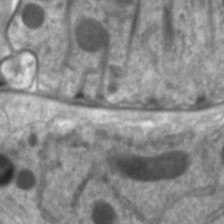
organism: C. elegans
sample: Pharynx